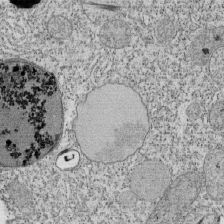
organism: Tetrahymena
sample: Cilia in tetrahymena